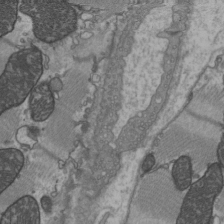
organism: C57BL Mouse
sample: Heart